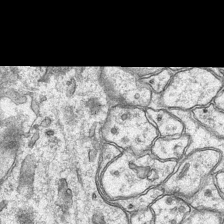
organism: Mouse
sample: CA1 Hippocampus